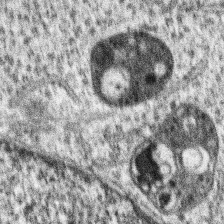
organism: Human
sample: HeLa cells